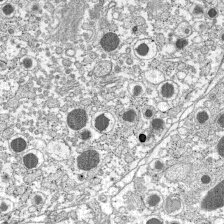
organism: C57BL Mouse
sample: Pancreatic islet